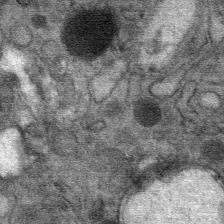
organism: Mouse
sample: Mouse Salivary gland